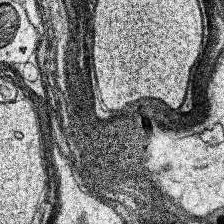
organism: Human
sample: Temporal Lobe